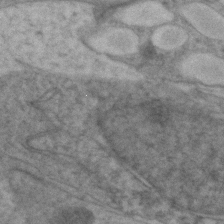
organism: Zebrafish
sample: Zebrafish embryo